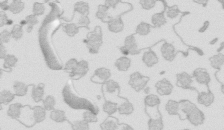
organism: Mouse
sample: Multiciliated cells